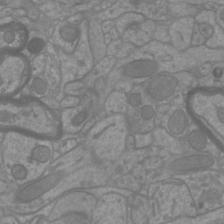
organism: Mouse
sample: Cortical neurons